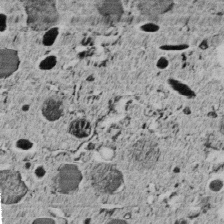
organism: C. elegans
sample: C. elegans embryo early stage